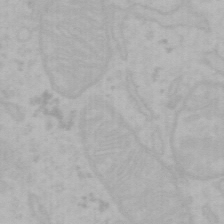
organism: Mouse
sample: Choroid plexus